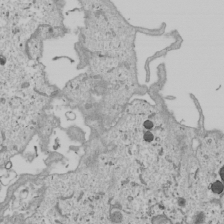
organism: Human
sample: Mitochondria in U2OS cells